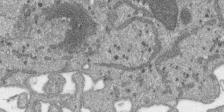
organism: Human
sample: Lung epithelial cells infected with SARS-CoV-2